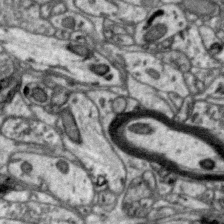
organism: Zebra finch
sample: Brain